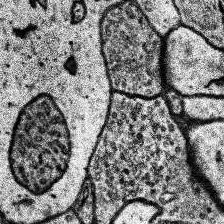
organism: Human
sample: Temporal Lobe